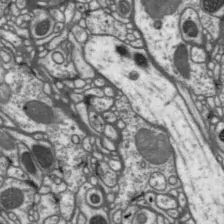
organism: Drosophila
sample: Protocerebral bridge